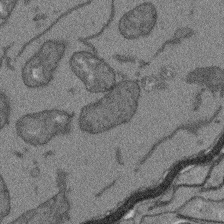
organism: Arabidopsis thaliana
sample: Root tip